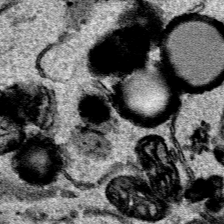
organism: Human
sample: Mitochondria in HCT116 cells